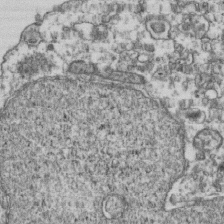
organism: Human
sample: Activated Jurkat CD4+ T cells